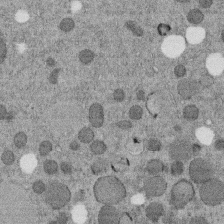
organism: C. elegans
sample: C. elegans embryo early stage